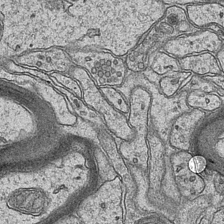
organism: Mouse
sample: CA1 Hippocampus